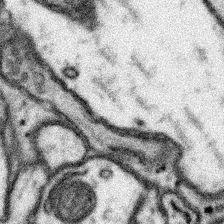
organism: Mouse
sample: Somatosensory cortex neuropil